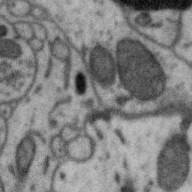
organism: Zebra finch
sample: Brain